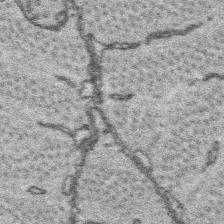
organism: Platynereis dumerilii